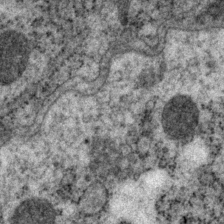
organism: P. pacificus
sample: Pharynx